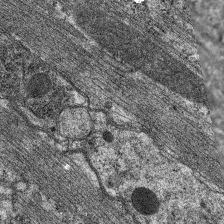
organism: C. elegans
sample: Pharynx